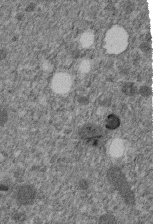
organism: C. elegans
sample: C. elegans embryo early stage